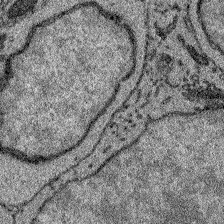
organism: Zebrafish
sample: Larval olfactory bulb